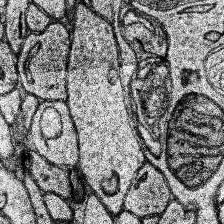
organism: Human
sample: Temporal Lobe